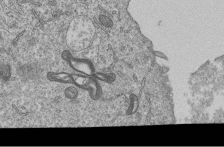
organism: Human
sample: MDA-MB-231 cells